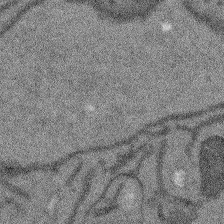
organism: Arabidopsis thaliana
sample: Root tip